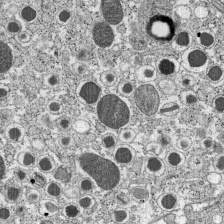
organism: C57BL Mouse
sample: Pancreatic islet